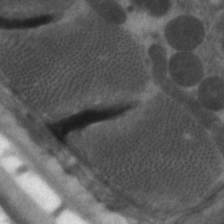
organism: C. elegans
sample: Pharynx